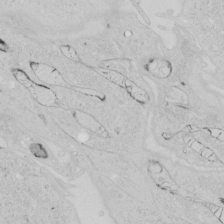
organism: Human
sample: Mitochondria in HCT116 cells